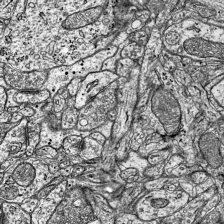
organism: Mouse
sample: Visual Cortex